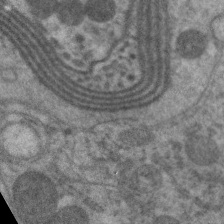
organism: C. elegans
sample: Pharynx